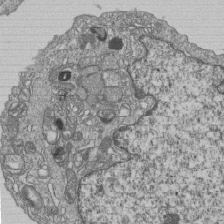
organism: Human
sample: MDA-MB-231 cells